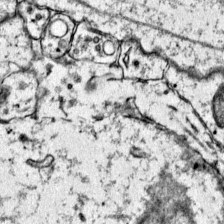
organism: Mouse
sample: Primary visual cortex